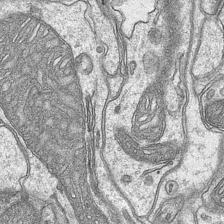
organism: Mouse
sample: CA1 Hippocampus